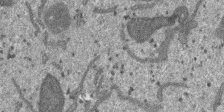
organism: Human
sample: Lung epithelial cells infected with SARS-CoV-2